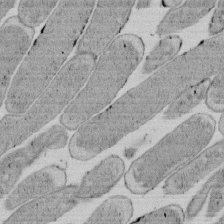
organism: E. coli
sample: Bacterial nucleoid